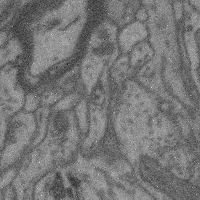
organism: Mouse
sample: Cerebral cortex